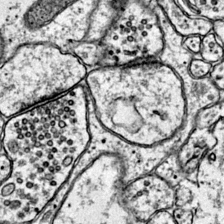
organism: Mouse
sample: Primary visual cortex